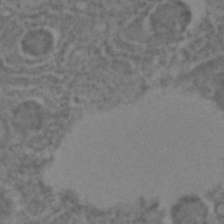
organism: C. elegans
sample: C. elegans embryo